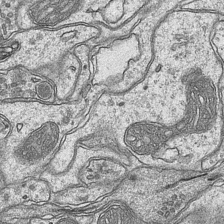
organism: Mouse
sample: CA1 Hippocampus